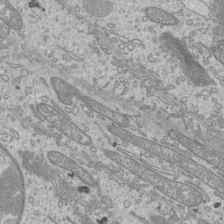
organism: Mouse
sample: Cilia; mouse epididymis